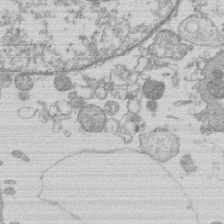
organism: Human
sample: Macrophage cells